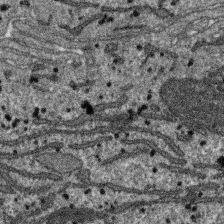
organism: Human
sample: Lung epithelial cells infected with SARS-CoV-2